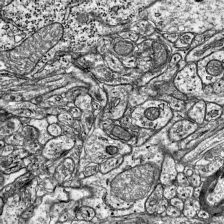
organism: Mouse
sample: Visual Cortex